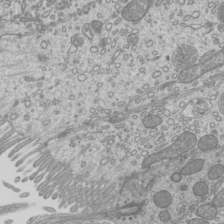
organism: Mouse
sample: Cilia; mouse epididymis